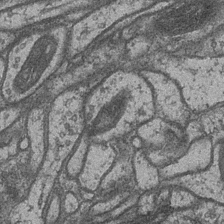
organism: Drosophila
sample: Optic medulla